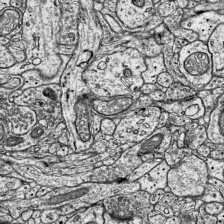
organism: Mouse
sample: Visual Cortex